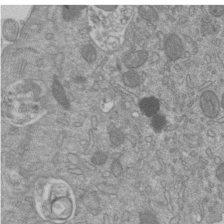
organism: Mouse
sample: ED-1 cell nuclei; centrioles